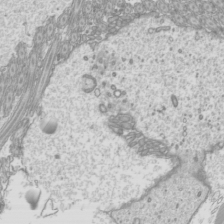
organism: Mouse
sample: Cilia; mouse epididymis